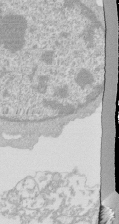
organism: Mouse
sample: Activated Pmel transgenic CD8+ T Cells